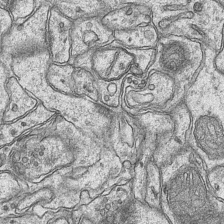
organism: Mouse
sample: CA1 Hippocampus